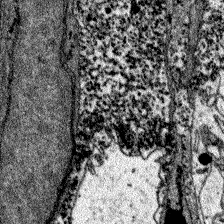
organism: Zebrafish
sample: Larval olfactory bulb